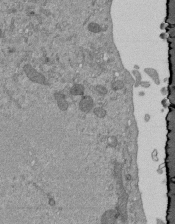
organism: Mouse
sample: ED-1 cell nuclei; centrioles